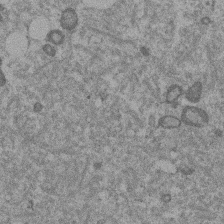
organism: Mouse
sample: Dividing mouse embryo 1 cell stage